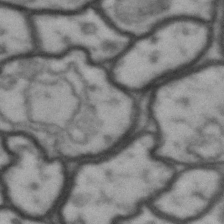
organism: Drosophila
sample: Brain